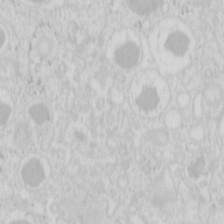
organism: Mouse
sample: Pancreas